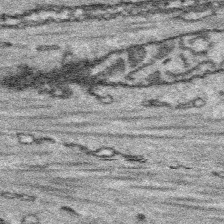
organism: Platynereis dumerilii